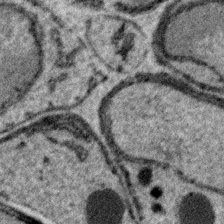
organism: Plasmodium falciparum